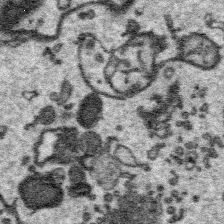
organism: Platynereis dumerilii